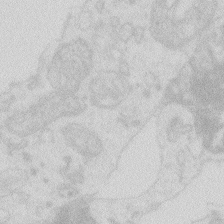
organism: Zebrafish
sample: Macrophage